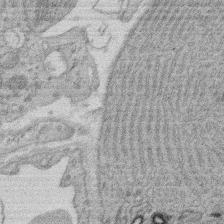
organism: Rat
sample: Salivary granule